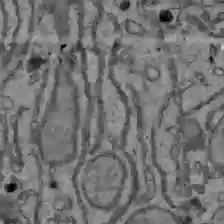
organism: C57BL Mouse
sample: Liver